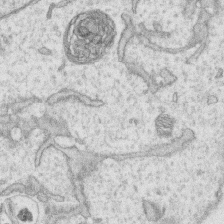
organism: Human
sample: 1205lu cells